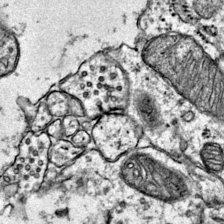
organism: Mouse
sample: Primary visual cortex